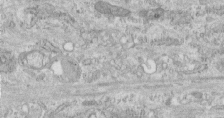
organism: Human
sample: Centriole in fibroblast cells